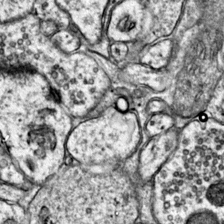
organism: Mouse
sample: Primary visual cortex